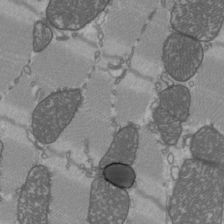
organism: C57BL Mouse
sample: Heart